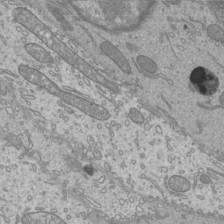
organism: Mouse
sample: Cilia; mouse epididymis